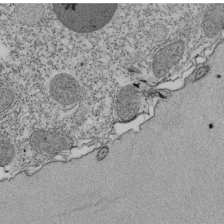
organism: Tetrahymena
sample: Cilia in tetrahymena